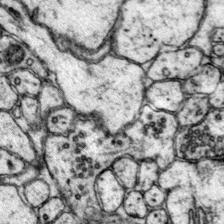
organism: Mouse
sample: Primary visual cortex